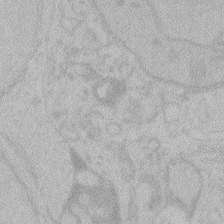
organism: Zebrafish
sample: Macrophage infected with Toxoplasma gondii